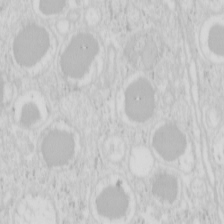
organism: Mouse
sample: Pancreas